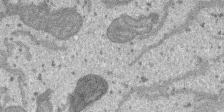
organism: Human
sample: Lung epithelial cells infected with SARS-CoV-2